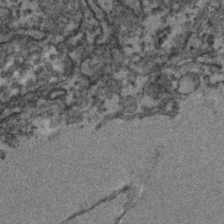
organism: Zebrafish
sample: Zebrafish embryo